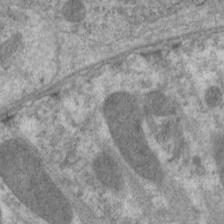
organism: C. elegans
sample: Pharynx